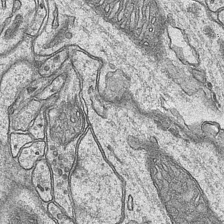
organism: Mouse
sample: CA1 Hippocampus